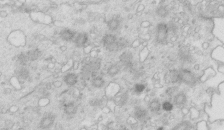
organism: Mouse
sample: Multiciliated cells